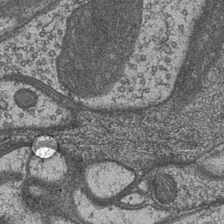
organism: Drosophila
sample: Optic medulla